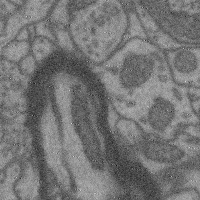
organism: Mouse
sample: Cerebral cortex